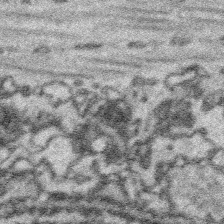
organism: Platynereis dumerilii